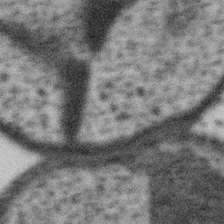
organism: Gemmata obscuriglobus